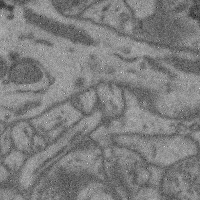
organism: Mouse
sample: Cerebral cortex